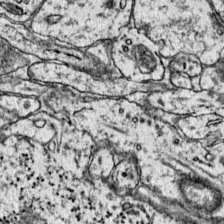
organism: Mouse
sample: Primary visual cortex